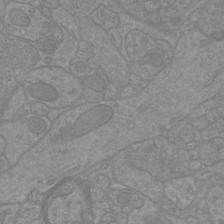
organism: Mouse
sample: Cortical neurons